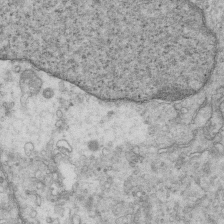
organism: Mouse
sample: Multiciliated cells